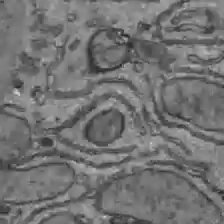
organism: C57BL Mouse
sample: Liver